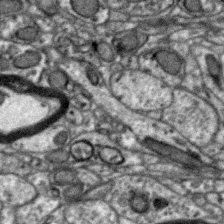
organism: Zebra finch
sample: Brain